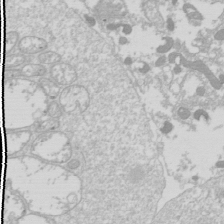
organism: Drosophila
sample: Cell division; meiosis; drosophila spermatocytes